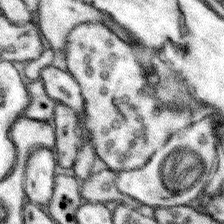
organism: Mouse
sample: Somatosensory cortex neuropil